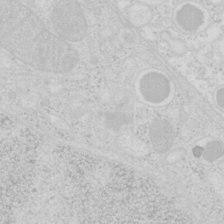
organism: Mouse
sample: Pancreas